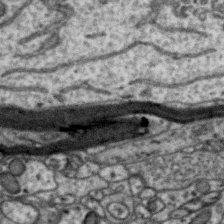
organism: Zebra finch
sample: Brain